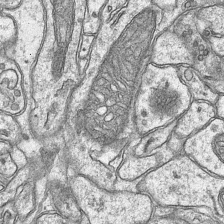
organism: Mouse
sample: CA1 Hippocampus